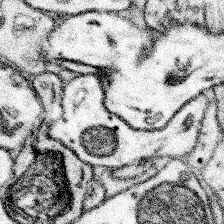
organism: Mouse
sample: Somatosensory cortex neuropil